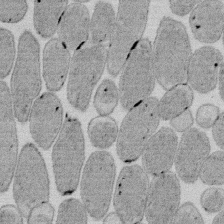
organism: E. coli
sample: Bacterial nucleoid